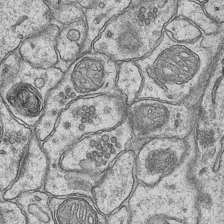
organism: Mouse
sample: CA1 Hippocampus